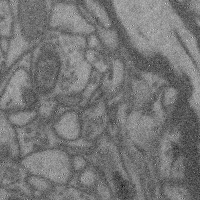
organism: Mouse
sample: Cerebral cortex